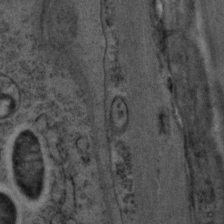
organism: C. elegans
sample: C. elegans embryo